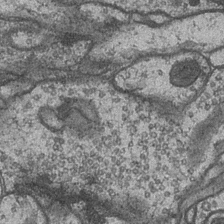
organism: Drosophila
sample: Optic medulla